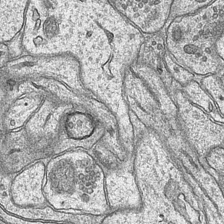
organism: Mouse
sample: CA1 Hippocampus